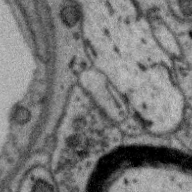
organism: Zebra finch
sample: Brain